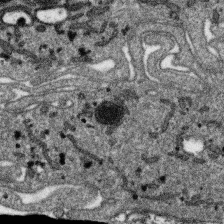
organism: Human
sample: Lung epithelial cells infected with SARS-CoV-2